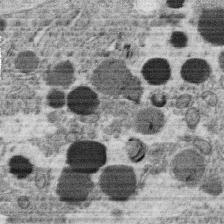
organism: C. elegans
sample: C. elegans oocyte; sperm cells